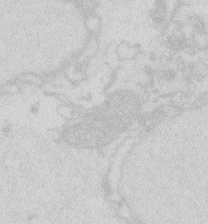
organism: Zebrafish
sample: Macrophage